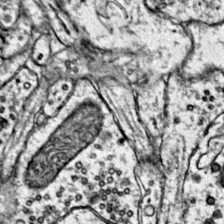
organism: Mouse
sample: Primary visual cortex